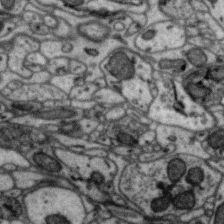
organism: Zebra finch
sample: Brain